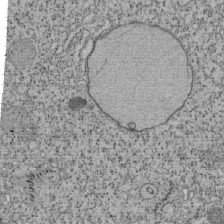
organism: Tetrahymena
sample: Cilia in tetrahymena